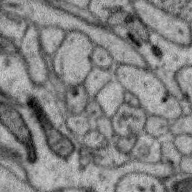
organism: Zebra finch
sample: Brain